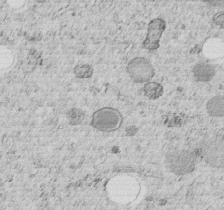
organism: C. elegans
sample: C. elegans embryo early stage